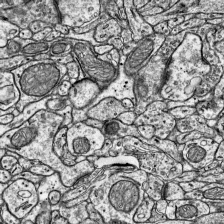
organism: Mouse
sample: Visual Cortex